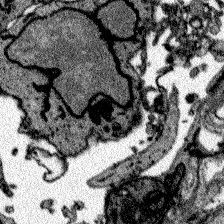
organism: Zebrafish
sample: Larval olfactory bulb